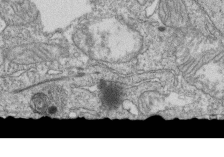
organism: Human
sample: HeLa cell HIV synapse